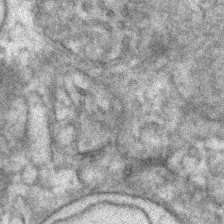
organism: Human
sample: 1205lu cells